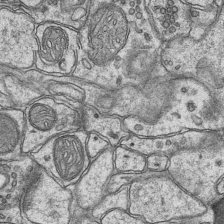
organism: Mouse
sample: CA1 Hippocampus